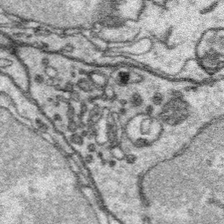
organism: Platynereis dumerilii